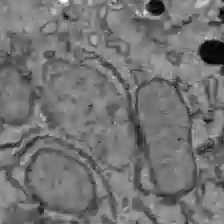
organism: C57BL Mouse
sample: Liver